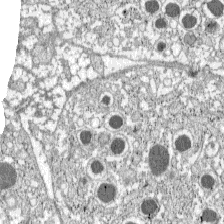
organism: C57BL Mouse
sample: Pancreatic islet